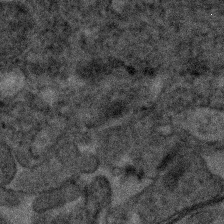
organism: Human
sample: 1205lu cells